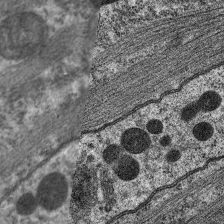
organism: C. elegans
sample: Pharynx